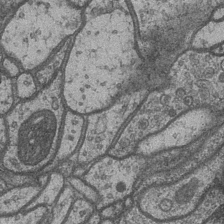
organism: Drosophila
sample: Optic medulla